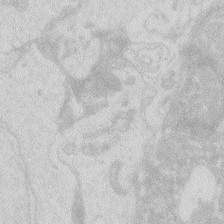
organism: Zebrafish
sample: Macrophage